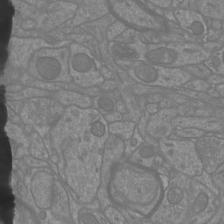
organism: Mouse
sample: Cortical neurons